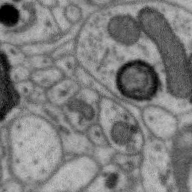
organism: Zebra finch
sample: Brain